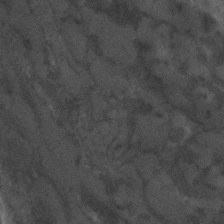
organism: C. elegans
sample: C. elegans embryo